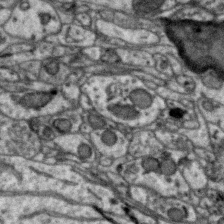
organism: Zebra finch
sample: Brain